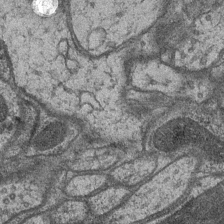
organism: Drosophila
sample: Optic medulla